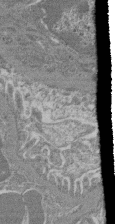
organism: Mouse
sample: Glomerulus